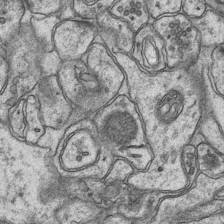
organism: Mouse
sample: CA1 Hippocampus